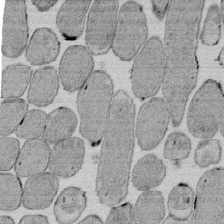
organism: E. coli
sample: Bacterial nucleoid